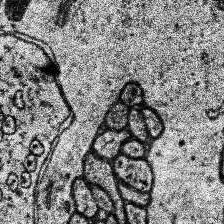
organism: Human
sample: Temporal Lobe